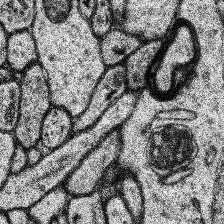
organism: Human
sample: Temporal Lobe